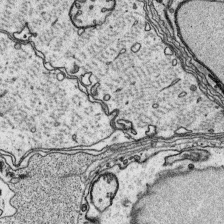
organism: Platynereis dumerilii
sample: Parapodia